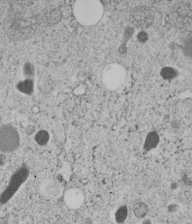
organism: C. elegans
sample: C. elegans embryo early stage